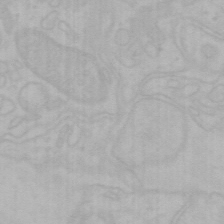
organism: Mouse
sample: Choroid plexus